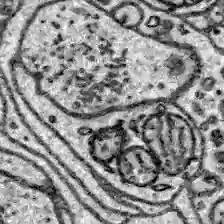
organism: Zebrafish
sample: Brain